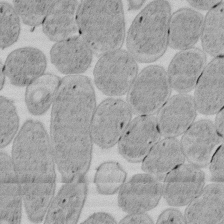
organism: E. coli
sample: Bacterial nucleoid